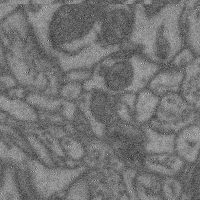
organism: Mouse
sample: Cerebral cortex